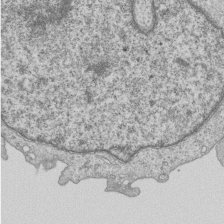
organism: Human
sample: MDA-MB-231 cells